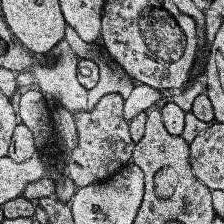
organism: Human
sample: Temporal Lobe